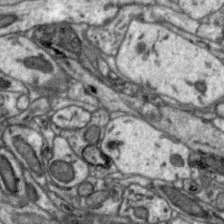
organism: Zebra finch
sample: Brain